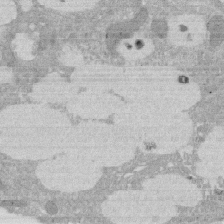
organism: Rat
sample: Salivary granule